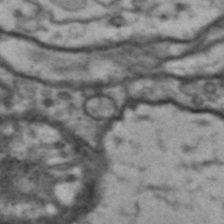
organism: Drosophila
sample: Brain